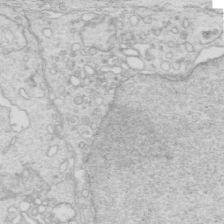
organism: Mouse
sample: Multiciliated cells